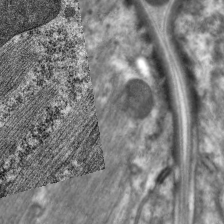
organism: C. elegans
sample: Pharynx